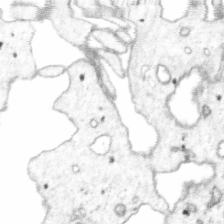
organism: Human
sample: HeLa cells